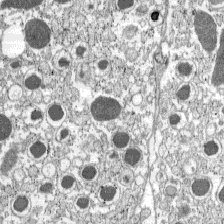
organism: C57BL Mouse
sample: Pancreatic islet